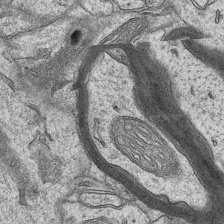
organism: Mouse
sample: CA1 Hippocampus